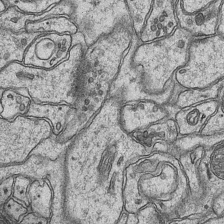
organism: Mouse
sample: CA1 Hippocampus